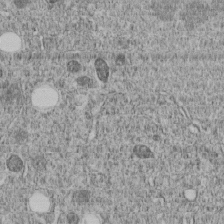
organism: C. elegans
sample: C. elegans embryo early stage